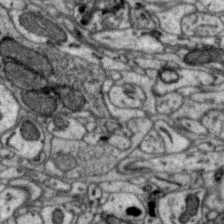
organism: Zebra finch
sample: Brain